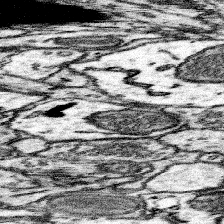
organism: Mouse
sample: Somatosensory cortex neuropil